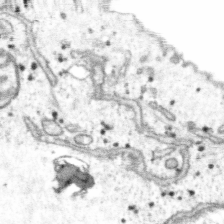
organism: Human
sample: HeLa cells